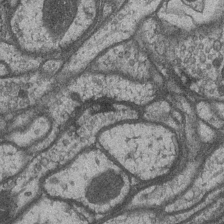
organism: Drosophila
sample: Optic medulla